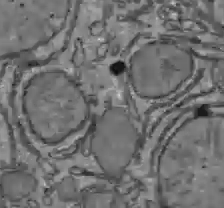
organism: C57BL Mouse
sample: Liver